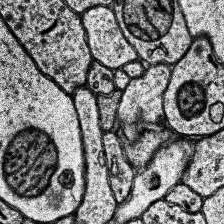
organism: Human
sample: Temporal Lobe